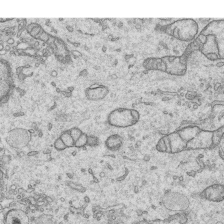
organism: Human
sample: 1205lu cells